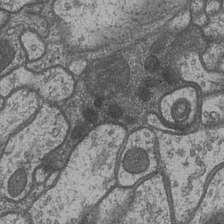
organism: Drosophila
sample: Optic medulla